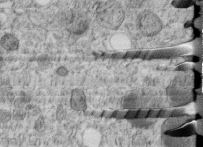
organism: C. elegans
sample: C. elegans embryo early stage